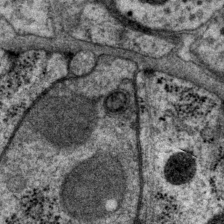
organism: P. pacificus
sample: Pharynx